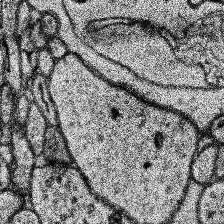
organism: Human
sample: Temporal Lobe